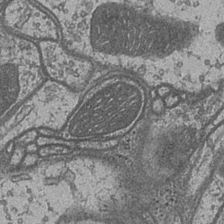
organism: Drosophila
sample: Optic medulla